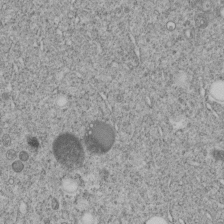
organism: C. elegans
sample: C. elegans embryo early stage